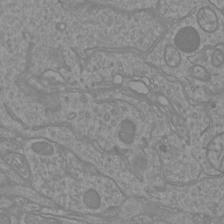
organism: Mouse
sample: Cortical neurons